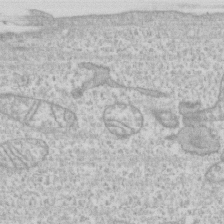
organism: Human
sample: CRL-1474